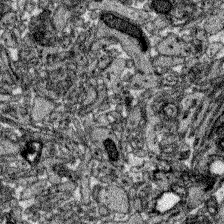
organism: Zebrafish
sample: Larval olfactory bulb